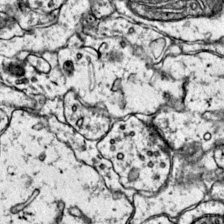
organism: Mouse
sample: Primary visual cortex